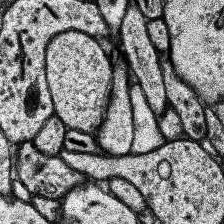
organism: Human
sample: Temporal Lobe